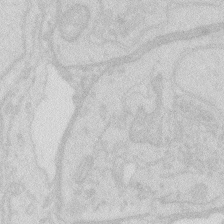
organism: Zebrafish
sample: Macrophage